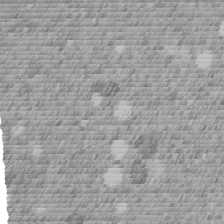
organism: C. elegans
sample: C. elegans embryo early stage